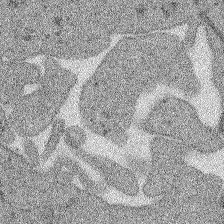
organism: Human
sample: HeLa cells